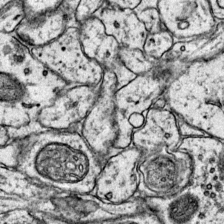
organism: Mouse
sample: Primary visual cortex